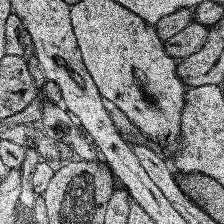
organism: Human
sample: Temporal Lobe